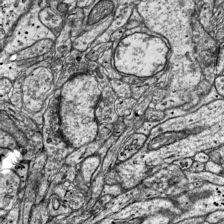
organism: Mouse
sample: Visual Cortex